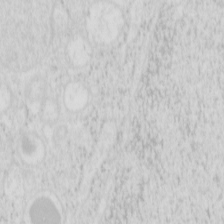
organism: Mouse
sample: Pancreas